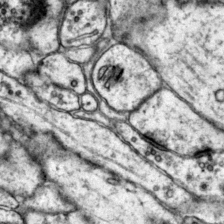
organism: Mouse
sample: Primary visual cortex